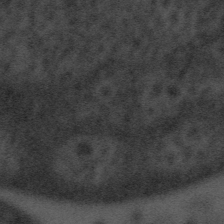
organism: Tuwongella immobilis